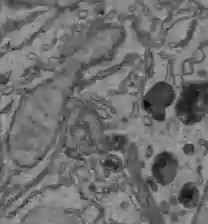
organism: C57BL Mouse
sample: Liver